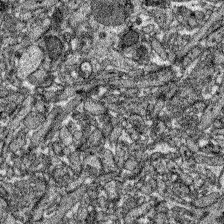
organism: Zebrafish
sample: Larval olfactory bulb